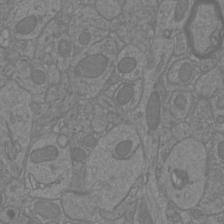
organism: Mouse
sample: Cortical neurons